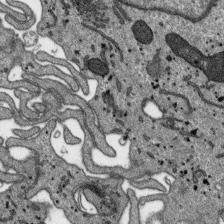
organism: Human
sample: Lung epithelial cells, uninfected (mock) control